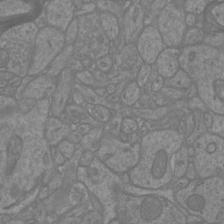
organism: Mouse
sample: Cortical neurons